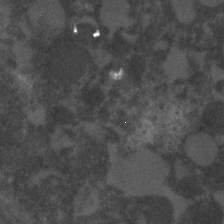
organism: C. elegans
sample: C. elegans embryo